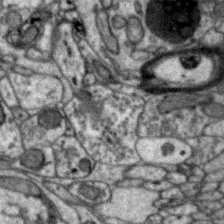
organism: Zebra finch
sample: Brain